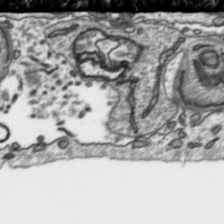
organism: Toxoplasma gondii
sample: Parasites in a vacuole inside a host cell